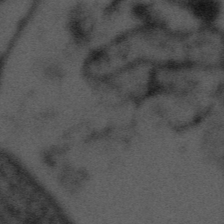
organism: Tuwongella immobilis